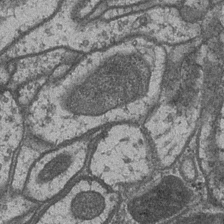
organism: Drosophila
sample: Optic medulla